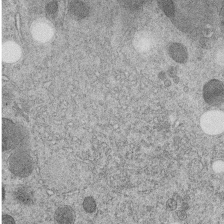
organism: C. elegans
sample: C. elegans embryo early stage